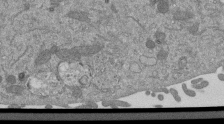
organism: Mouse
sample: ED-1 cell nuclei; centrioles